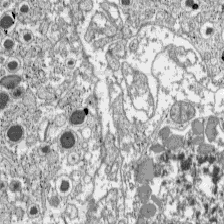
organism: C57BL Mouse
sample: Pancreatic islet